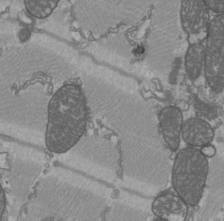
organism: C57BL Mouse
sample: Heart